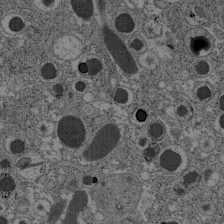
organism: C57BL Mouse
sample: Pancreatic islet